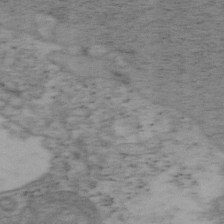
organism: Mouse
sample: OT-I killer T cells with ID8 ovarian cancer cells